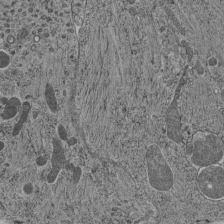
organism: C. elegans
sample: C. elegans pharynx